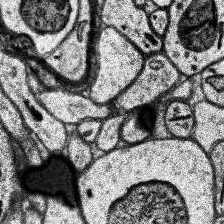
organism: Human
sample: Temporal Lobe